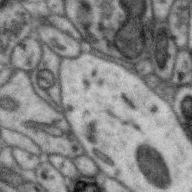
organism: Zebra finch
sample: Brain